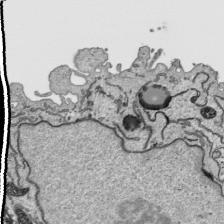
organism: Human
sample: Mitochondria in HCT116 cells